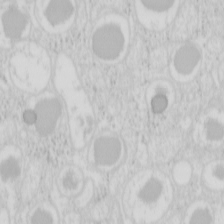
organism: Mouse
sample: Pancreas